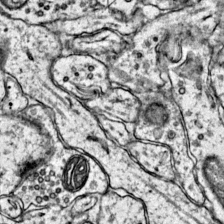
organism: Mouse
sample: Primary visual cortex